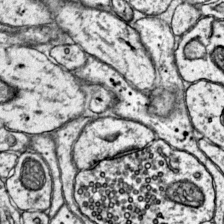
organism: Mouse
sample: Primary visual cortex